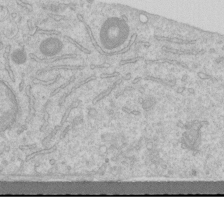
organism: Human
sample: Centriole in RPE cells